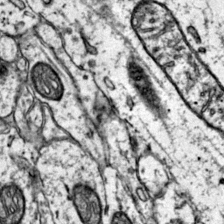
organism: Mouse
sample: Primary visual cortex